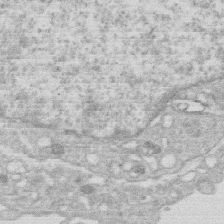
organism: Human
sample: Macrophage cells